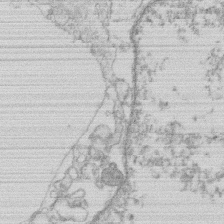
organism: Human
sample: Macrophage cells